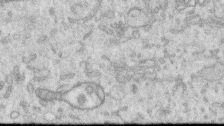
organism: Human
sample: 1205lu cells